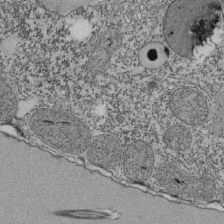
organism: Tetrahymena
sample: Cilia in tetrahymena